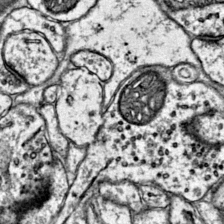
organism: Mouse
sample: Primary visual cortex